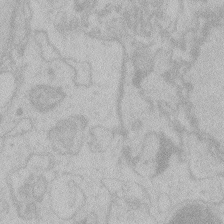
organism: Zebrafish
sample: Macrophage infected with Toxoplasma gondii